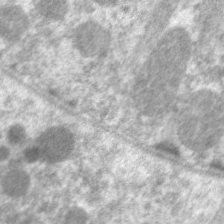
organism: C. elegans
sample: Pharynx